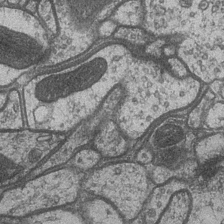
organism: Drosophila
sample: Optic medulla